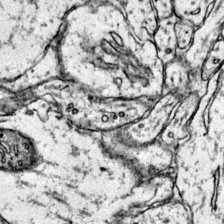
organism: Mouse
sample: Primary visual cortex